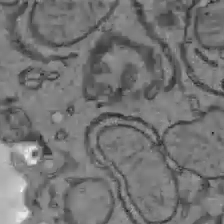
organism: C57BL Mouse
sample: Liver